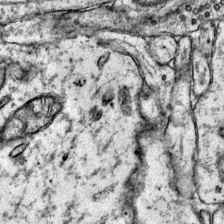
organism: Mouse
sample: Primary visual cortex